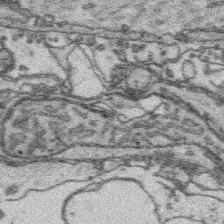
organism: Platynereis dumerilii